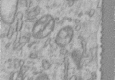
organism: Human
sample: Centriole in RPE cells